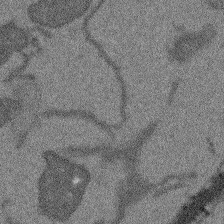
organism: Arabidopsis thaliana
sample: Root tip